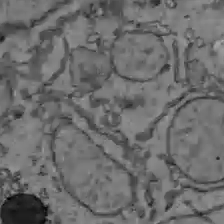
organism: C57BL Mouse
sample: Liver